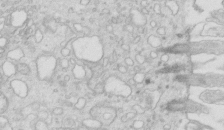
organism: Mouse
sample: Multiciliated cells